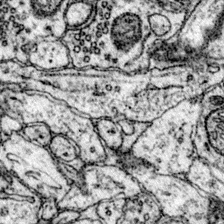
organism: Mouse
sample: Primary visual cortex